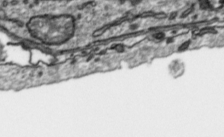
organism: Toxoplasma gondii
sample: Parasites in a vacuole inside a host cell